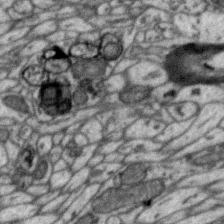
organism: Zebra finch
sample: Brain